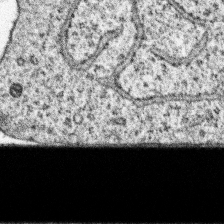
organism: Human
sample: HeLa cells